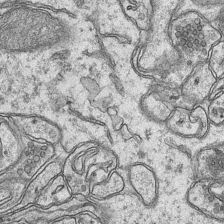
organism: Mouse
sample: CA1 Hippocampus